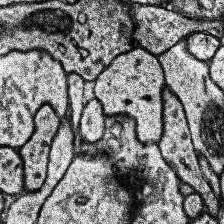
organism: Human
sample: Temporal Lobe